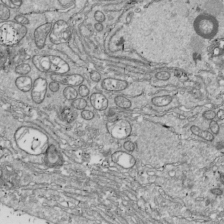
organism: Drosophila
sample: Cell division; meiosis; drosophila spermatocytes